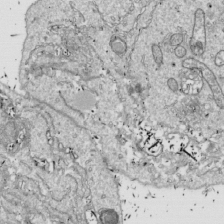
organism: Drosophila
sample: Cell division; meiosis; drosophila spermatocytes